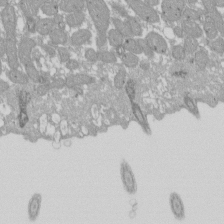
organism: Xenopus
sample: Cilia; centrioles in frog embryo cells